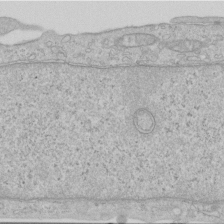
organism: Human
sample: Centriole in RPE cells